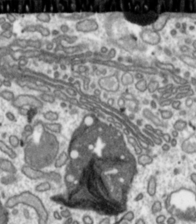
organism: Toxoplasma gondii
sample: Parasites in a vacuole inside a host cell